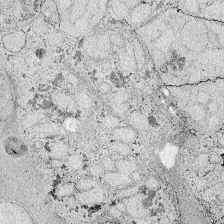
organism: Zebrafish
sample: Whole-Brain